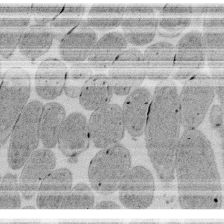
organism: E. coli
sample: Bacterial nucleoid